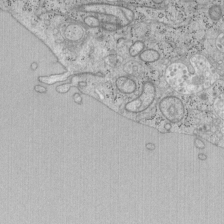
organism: Mouse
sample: OT-I killer T cells with ID8 ovarian cancer cells